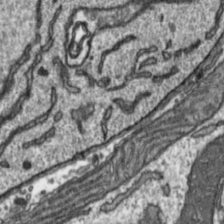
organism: Toxoplasma gondii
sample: Parasites in a vacuole inside a host cell